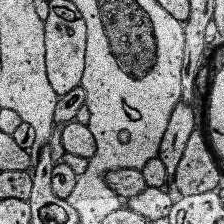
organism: Human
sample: Temporal Lobe